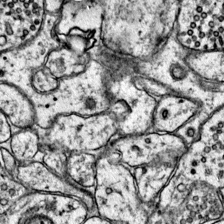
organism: Mouse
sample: Primary visual cortex